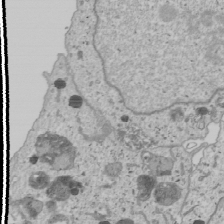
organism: Human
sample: Mitochondria in U2OS cells